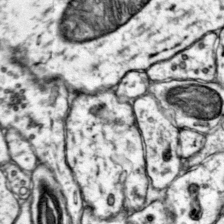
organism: Mouse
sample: Primary visual cortex